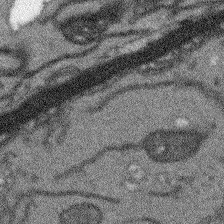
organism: Arabidopsis thaliana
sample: Root tip